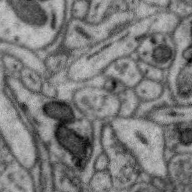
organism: Zebra finch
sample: Brain